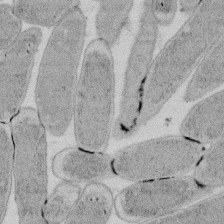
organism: E. coli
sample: Bacterial nucleoid